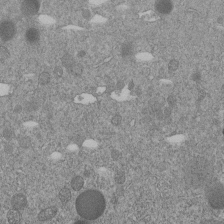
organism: C. elegans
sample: C. elegans embryo early stage